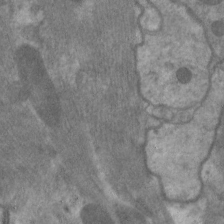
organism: C. elegans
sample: Pharynx